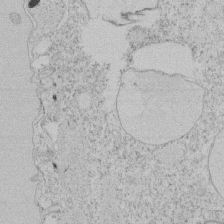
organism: Tetrahymena